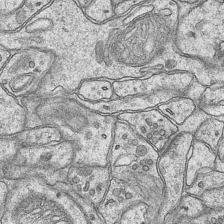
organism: Mouse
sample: CA1 Hippocampus